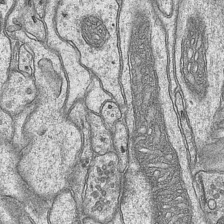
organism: Mouse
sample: CA1 Hippocampus